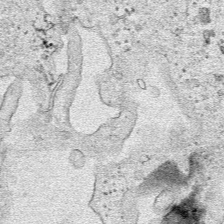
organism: Human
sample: Mitochondria in HCT116 cells